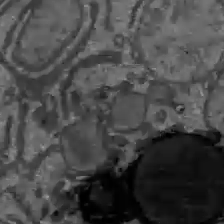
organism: C57BL Mouse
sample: Liver